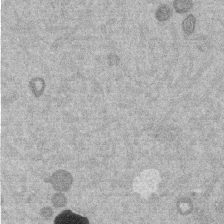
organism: Mouse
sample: Dividing mouse embryo 1 cell stage